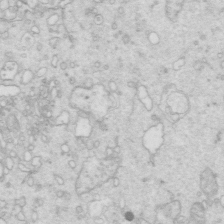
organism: Mouse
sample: Multiciliated cells